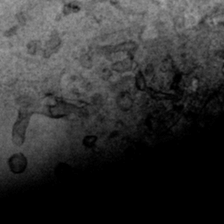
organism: Human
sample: Mitochondria in HCT116 cells